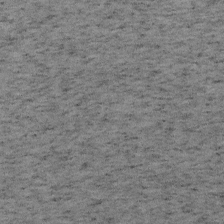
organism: Mouse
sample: OT-I killer T cells with ID8 ovarian cancer cells